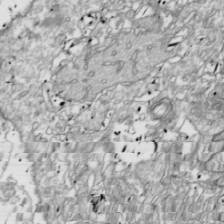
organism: Drosophila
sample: Cell division; meiosis; drosophila spermatocytes